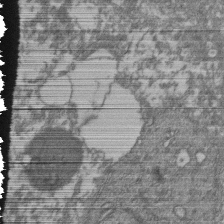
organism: Human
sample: Retinal organoid Rod and Cone cells